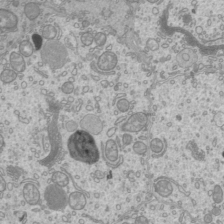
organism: Mouse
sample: Cilia; mouse epididymis